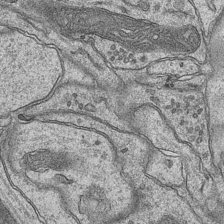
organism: Mouse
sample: CA1 Hippocampus